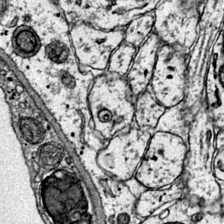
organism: Mouse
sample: Primary visual cortex